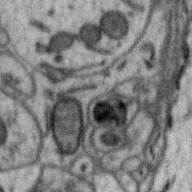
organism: Zebra finch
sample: Brain